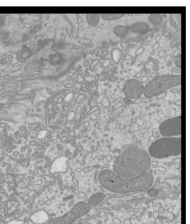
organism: Mouse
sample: Cilia; mouse epididymis